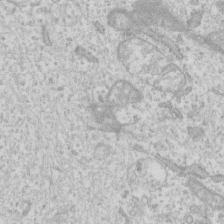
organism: Human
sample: Fibroblast cells